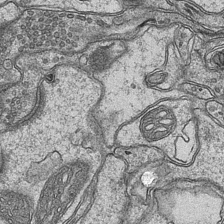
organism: Mouse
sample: CA1 Hippocampus